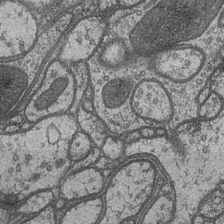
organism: Drosophila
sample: Optic medulla